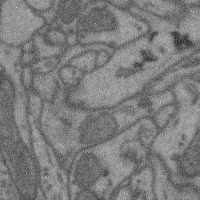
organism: Mouse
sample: Cerebral cortex